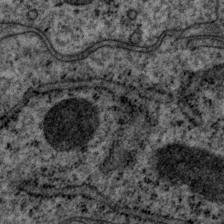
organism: P. pacificus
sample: Pharynx